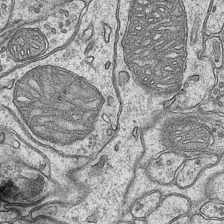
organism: Mouse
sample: CA1 Hippocampus